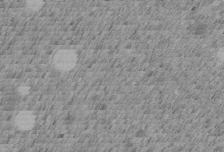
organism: C. elegans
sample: C. elegans embryo early stage